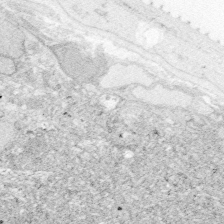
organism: Zebrafish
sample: Whole-Brain